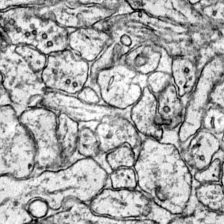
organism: Mouse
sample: Primary visual cortex